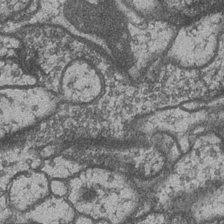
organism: Drosophila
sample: Optic medulla